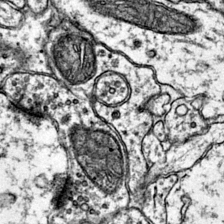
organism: Mouse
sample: Primary visual cortex